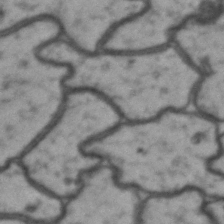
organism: Drosophila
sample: Brain